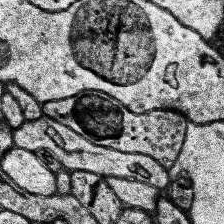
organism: Human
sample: Temporal Lobe